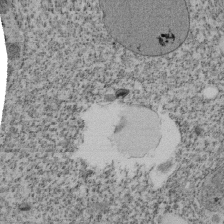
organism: Tetrahymena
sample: Cilia in tetrahymena